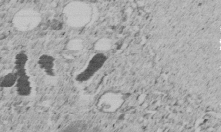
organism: C. elegans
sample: C. elegans embryo early stage